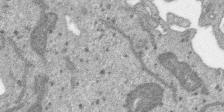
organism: Human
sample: Lung epithelial cells infected with SARS-CoV-2